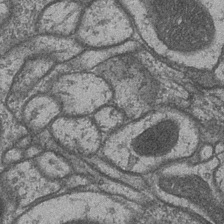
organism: Drosophila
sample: Optic medulla